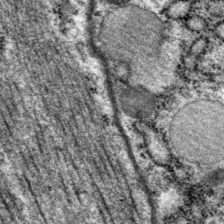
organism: P. pacificus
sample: Pharynx